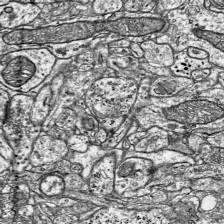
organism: Mouse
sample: Visual Cortex